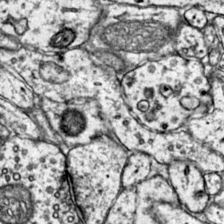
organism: Mouse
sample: Primary visual cortex